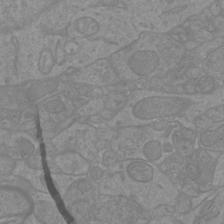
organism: Mouse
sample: Cortical neurons